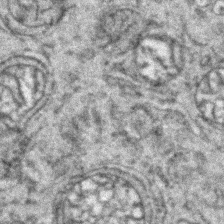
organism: Zebrafish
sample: Zebrafish embryo